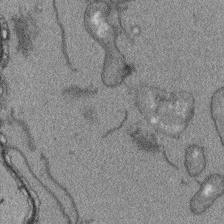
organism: Arabidopsis thaliana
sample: Root tip